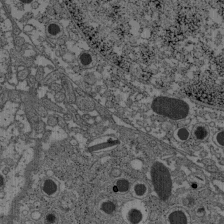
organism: C57BL Mouse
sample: Pancreatic islet